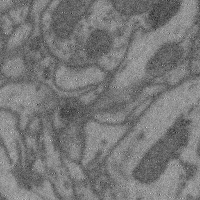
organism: Mouse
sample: Cerebral cortex